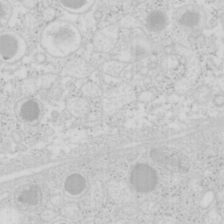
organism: Mouse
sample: Pancreas